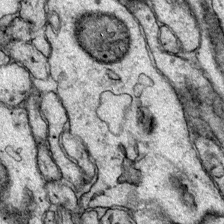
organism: Mouse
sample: Primary visual cortex